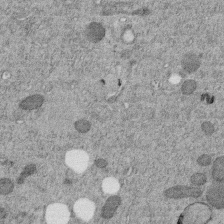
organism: C. elegans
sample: C. elegans embryo early stage